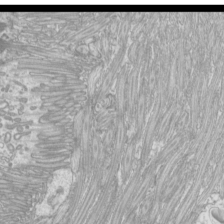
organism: Mouse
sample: Cilia; mouse epididymis